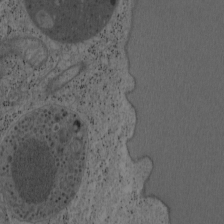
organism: Mouse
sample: OT-I killer T cells with ID8 ovarian cancer cells